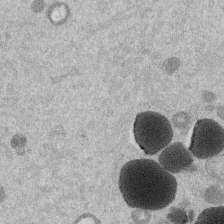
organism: Mouse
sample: Dividing mouse embryo 1 cell stage